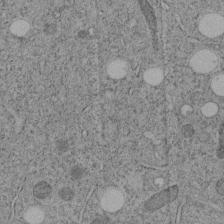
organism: C. elegans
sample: C. elegans embryo early stage